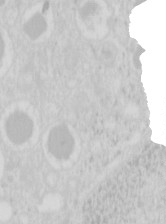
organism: Mouse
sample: Pancreas